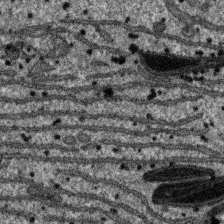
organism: Human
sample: Lung epithelial cells infected with SARS-CoV-2